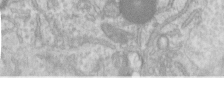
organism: Human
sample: Centriole in RPE cells